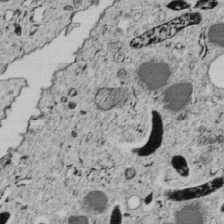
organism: C. elegans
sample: C. elegans embryo early stage